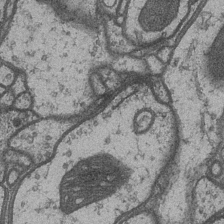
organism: Drosophila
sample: Optic medulla